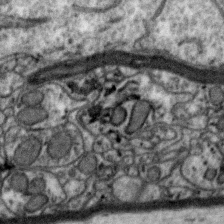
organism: Zebra finch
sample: Brain